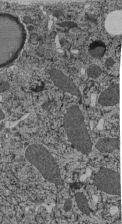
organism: C. elegans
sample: C. elegans pharynx